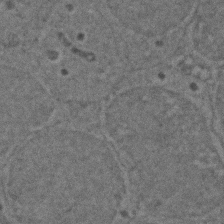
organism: Zebrafish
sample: Zebrafish embryo